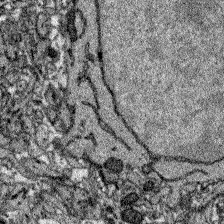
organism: Zebrafish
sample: Larval olfactory bulb